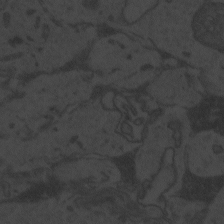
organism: Zebrafish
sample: Macrophage infected with Toxoplasma gondii